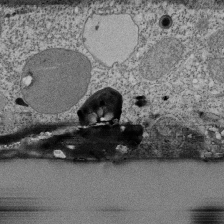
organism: Tetrahymena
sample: Cilia in tetrahymena